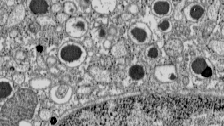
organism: C57BL Mouse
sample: Pancreatic islet